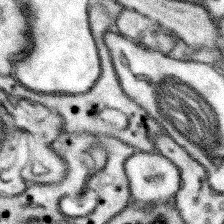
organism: Mouse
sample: Somatosensory cortex neuropil